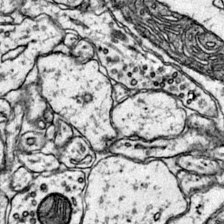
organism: Mouse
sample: Primary visual cortex